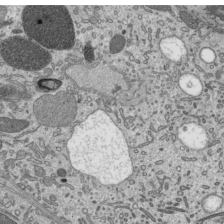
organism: Mouse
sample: Mouse epididymis efferent ductule cilia